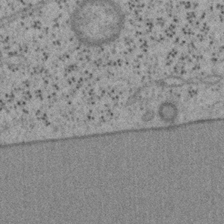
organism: Human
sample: HeLa cells